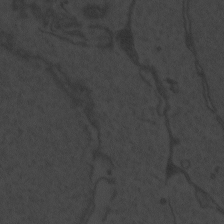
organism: Zebrafish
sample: Macrophage infected with Toxoplasma gondii